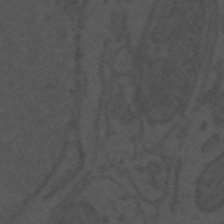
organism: Mouse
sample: Suprachiasmatic nucleus